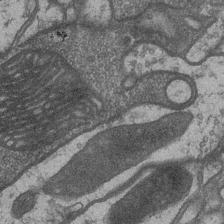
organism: Drosophila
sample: Optic medulla